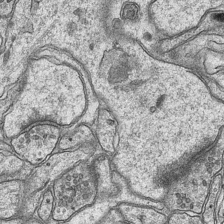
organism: Mouse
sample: CA1 Hippocampus